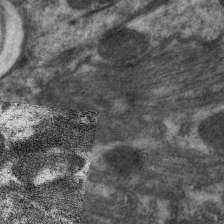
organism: C. elegans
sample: Pharynx